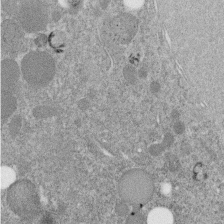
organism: C. elegans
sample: C. elegans embryo early stage